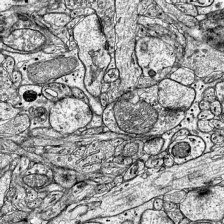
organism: Mouse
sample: Visual Cortex